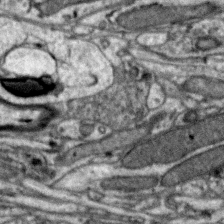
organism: Zebra finch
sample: Brain